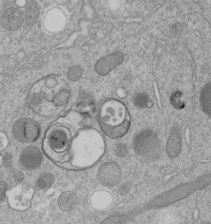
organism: C. elegans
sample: C. elegans embryo early stage